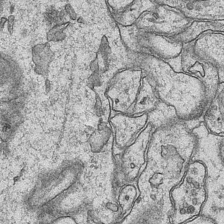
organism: Mouse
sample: CA1 Hippocampus